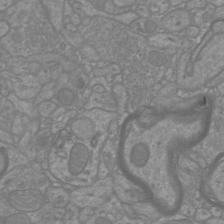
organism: Mouse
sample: Cortical neurons